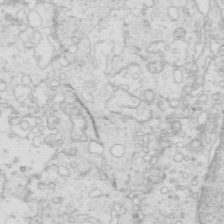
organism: Mouse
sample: Multiciliated cells